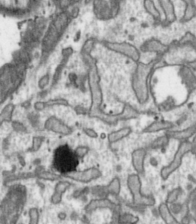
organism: Toxoplasma gondii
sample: Parasites in a vacuole inside a host cell